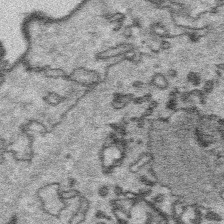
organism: Platynereis dumerilii